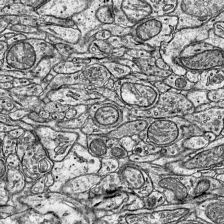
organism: Mouse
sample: Visual Cortex